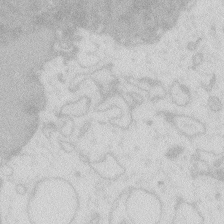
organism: Zebrafish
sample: Macrophage